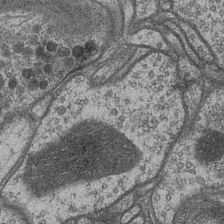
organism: Drosophila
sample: Optic medulla